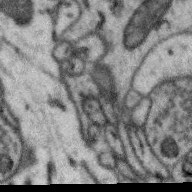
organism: Zebra finch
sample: Brain